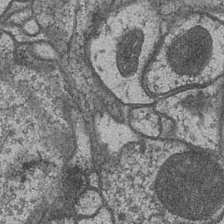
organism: Drosophila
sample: Optic medulla